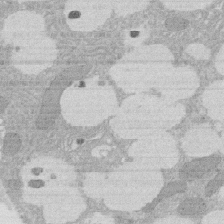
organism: Rat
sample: Salivary granule